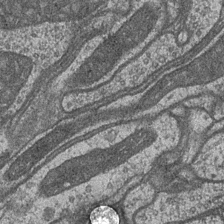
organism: Drosophila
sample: Optic medulla